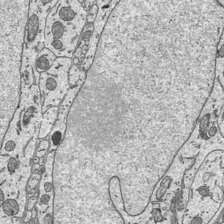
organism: Mouse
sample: Suprachiasmatic nucleus